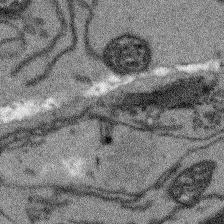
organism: Arabidopsis thaliana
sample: Root tip